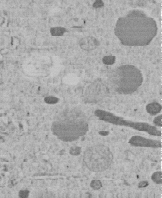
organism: C. elegans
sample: C. elegans embryo early stage